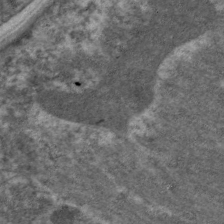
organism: C. elegans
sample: Pharynx